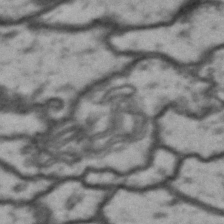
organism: Drosophila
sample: Brain